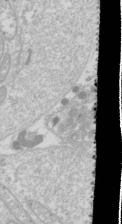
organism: Drosophila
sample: Cell division; meiosis; drosophila spermatocytes